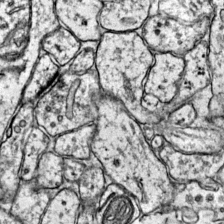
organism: Mouse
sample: Primary visual cortex